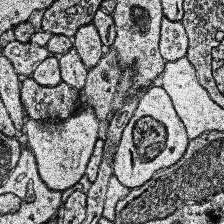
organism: Human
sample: Temporal Lobe